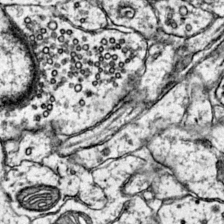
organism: Mouse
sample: Primary visual cortex